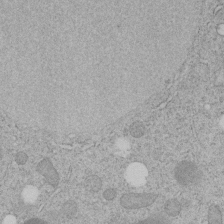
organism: C. elegans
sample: C. elegans embryo early stage